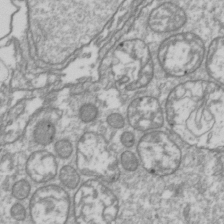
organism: Drosophila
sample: Cell division; meiosis; drosophila spermatocytes